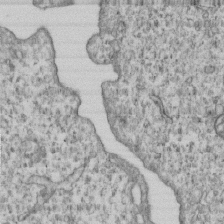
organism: Human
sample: MDA-MB-231 cells